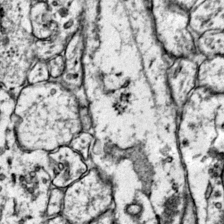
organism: Mouse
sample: Primary visual cortex